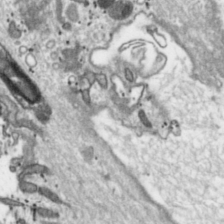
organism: Toxoplasma gondii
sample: Parasites in a vacuole inside a host cell